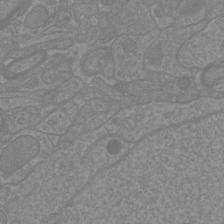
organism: Mouse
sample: Cortical neurons